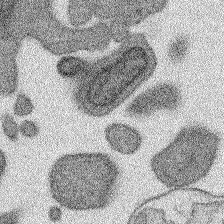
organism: Human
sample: HeLa cells